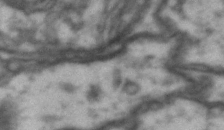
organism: Drosophila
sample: Brain